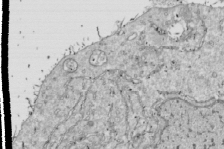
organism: Drosophila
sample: Cell division; meiosis; drosophila spermatocytes